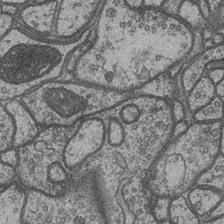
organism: Drosophila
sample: Optic medulla